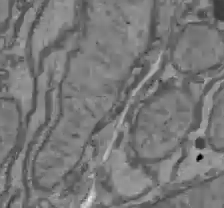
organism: C57BL Mouse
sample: Liver